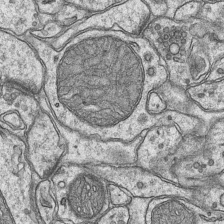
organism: Mouse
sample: CA1 Hippocampus